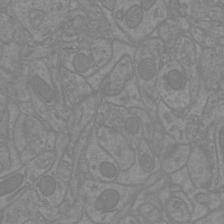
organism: Mouse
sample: Cortical neurons